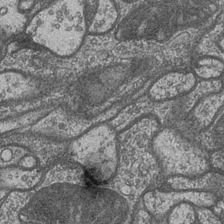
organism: Drosophila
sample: Optic medulla